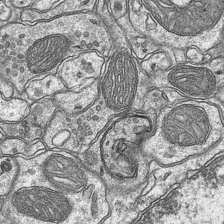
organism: Mouse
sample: CA1 Hippocampus